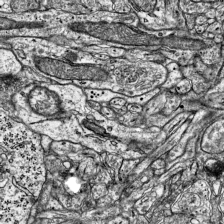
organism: Mouse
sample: Visual Cortex